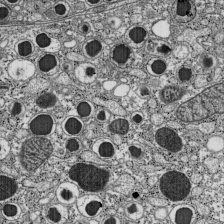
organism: C57BL Mouse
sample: Pancreatic islet